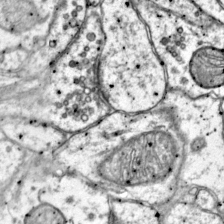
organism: Mouse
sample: Primary visual cortex